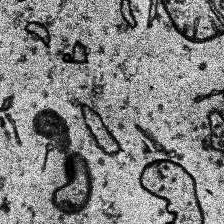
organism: Human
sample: Temporal Lobe